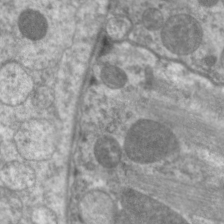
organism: C. elegans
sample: Pharynx